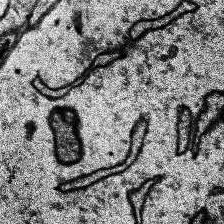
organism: Human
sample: Temporal Lobe